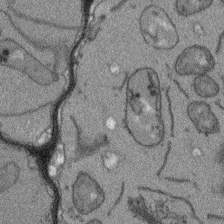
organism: Arabidopsis thaliana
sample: Root tip